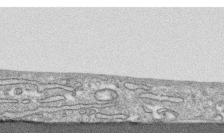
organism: Human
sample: CRL-1474